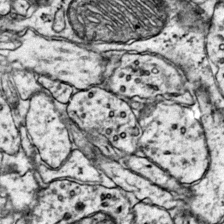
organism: Mouse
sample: Primary visual cortex